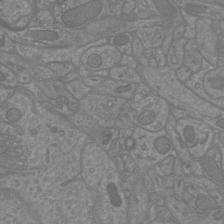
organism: Mouse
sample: Cortical neurons